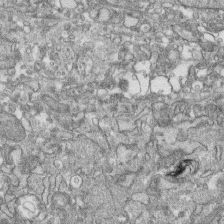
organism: Human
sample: CRL-1474